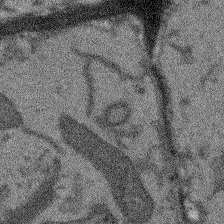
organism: Arabidopsis thaliana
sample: Root tip